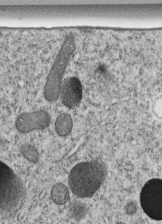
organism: C. elegans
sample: C. elegans embryo early stage